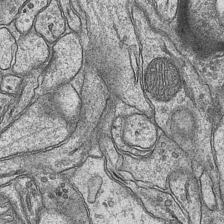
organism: Mouse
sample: CA1 Hippocampus